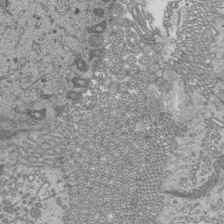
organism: Mouse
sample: Cilia; mouse epididymis